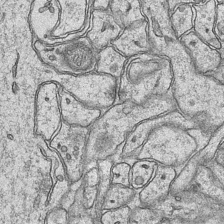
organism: Mouse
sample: CA1 Hippocampus